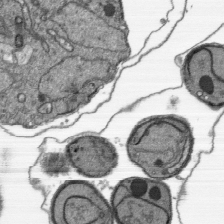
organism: Plasmodium falciparum